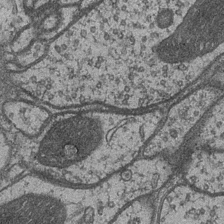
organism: Drosophila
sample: Optic medulla